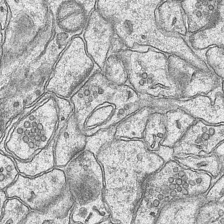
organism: Mouse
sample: CA1 Hippocampus